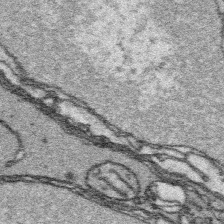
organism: Platynereis dumerilii